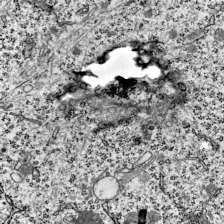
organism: Mouse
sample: Visual Cortex